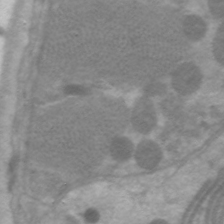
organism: C. elegans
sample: Pharynx